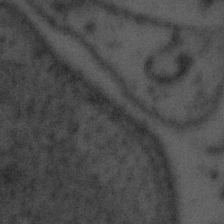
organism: Tuwongella immobilis